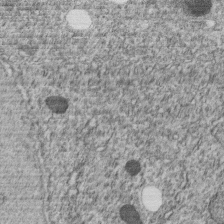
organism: C. elegans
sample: C. elegans embryo early stage